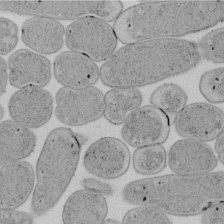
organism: E. coli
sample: Bacterial nucleoid